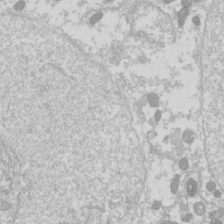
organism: Drosophila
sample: Cell division; meiosis; drosophila spermatocytes